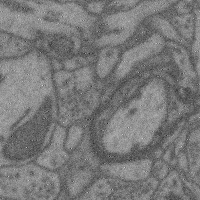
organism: Mouse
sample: Cerebral cortex